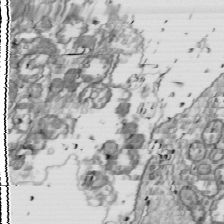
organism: Drosophila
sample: Cell division; meiosis; drosophila spermatocytes